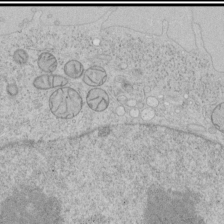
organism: Human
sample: Mitochondria in HCT116 cells